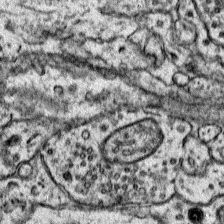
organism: Mouse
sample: Primary visual cortex